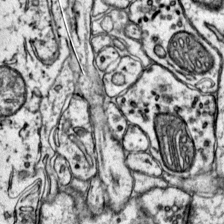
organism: Mouse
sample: Primary visual cortex